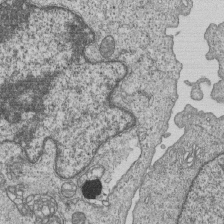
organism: Human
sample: MDA-MB-231 cells